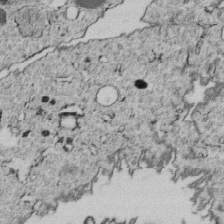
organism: C. elegans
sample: C. elegans embryo early stage